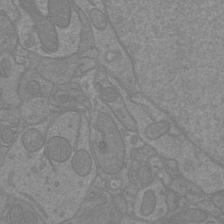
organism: Mouse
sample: Cortical neurons